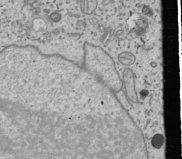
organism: Human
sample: Mitochondria in U2OS cells